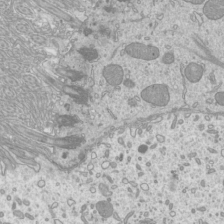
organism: Mouse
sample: Cilia; mouse epididymis